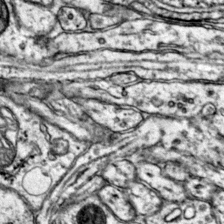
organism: Mouse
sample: Primary visual cortex